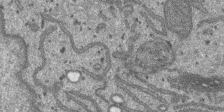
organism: Human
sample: Lung epithelial cells infected with SARS-CoV-2